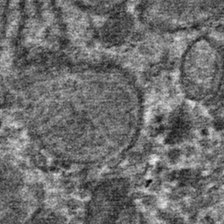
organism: Mouse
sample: Mouse hepatocytes